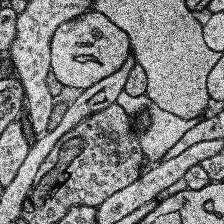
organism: Human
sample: Temporal Lobe